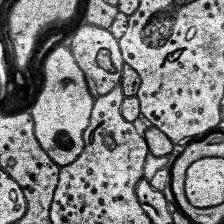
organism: Human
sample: Temporal Lobe